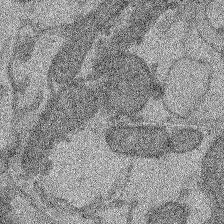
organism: Human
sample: HeLa cells